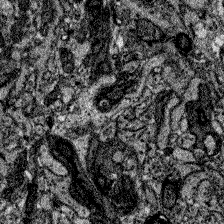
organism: Zebrafish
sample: Larval olfactory bulb